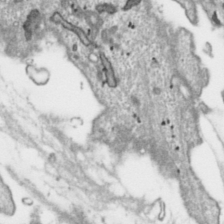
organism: Toxoplasma gondii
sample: Parasites in a vacuole inside a host cell